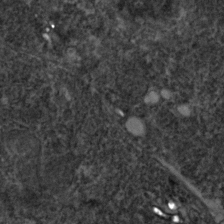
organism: Zebrafish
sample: Zebrafish embryo